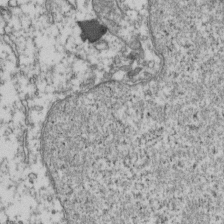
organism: Human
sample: Activated Jurkat CD4+ T cells